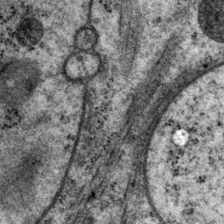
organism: P. pacificus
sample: Pharynx